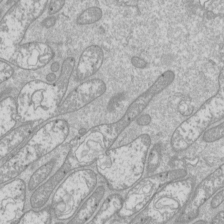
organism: Drosophila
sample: Cell division; meiosis; drosophila spermatocytes